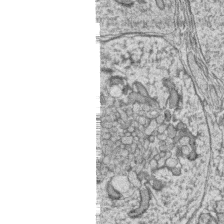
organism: Zebrafish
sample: synaptic ribbons in rod cells and cone cells